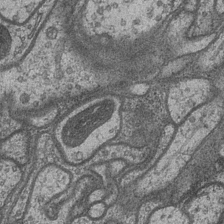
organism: Drosophila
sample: Optic medulla